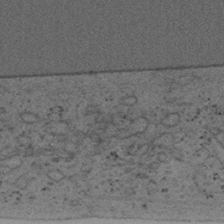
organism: Human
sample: HeLa cells